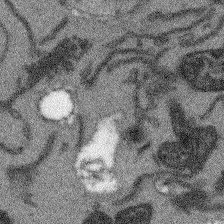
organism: Arabidopsis thaliana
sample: Root tip